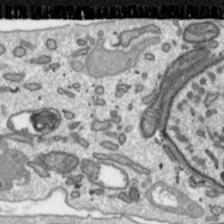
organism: Toxoplasma gondii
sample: Parasites in a vacuole inside a host cell